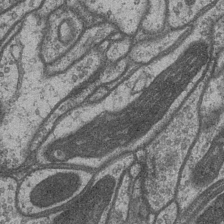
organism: Drosophila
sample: Optic medulla